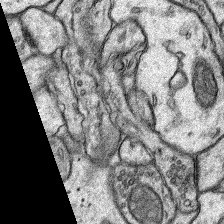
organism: Rat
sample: Hippocampus